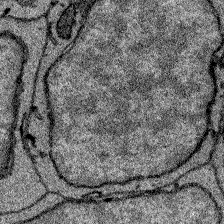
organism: Zebrafish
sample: Larval olfactory bulb